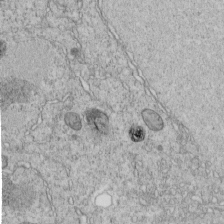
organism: C. elegans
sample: C. elegans embryo early stage